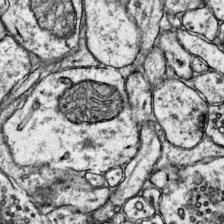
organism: Mouse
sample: Primary visual cortex